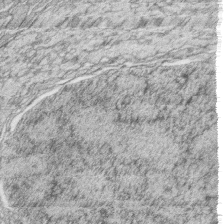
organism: Zebrafish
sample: synaptic ribbons in rod cells and cone cells